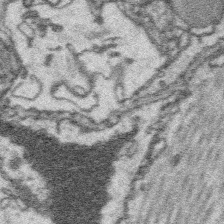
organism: Platynereis dumerilii